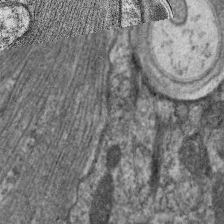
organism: C. elegans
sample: Pharynx